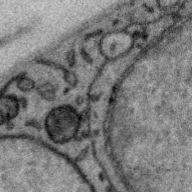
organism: Zebra finch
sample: Brain